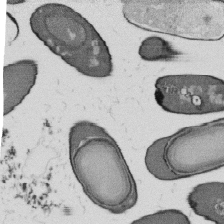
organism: B. subtilis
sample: Bacterial spore